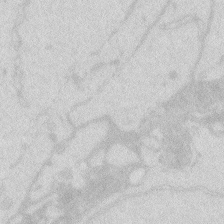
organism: Zebrafish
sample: Macrophage